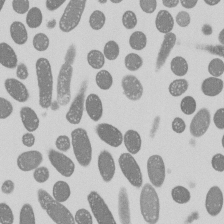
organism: E. coli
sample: Bacterial nucleoid